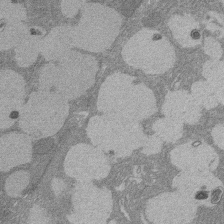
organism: Rat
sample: Salivary granule